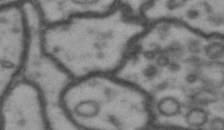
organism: Drosophila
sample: Brain